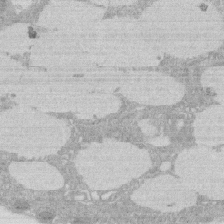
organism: Rat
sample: Salivary granule